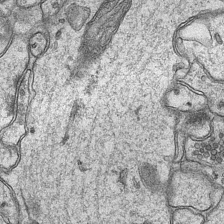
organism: Mouse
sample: CA1 Hippocampus